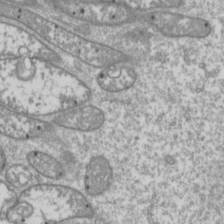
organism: Drosophila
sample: Cell division; meiosis; drosophila spermatocytes